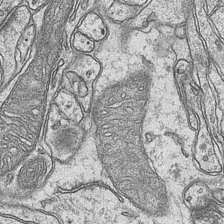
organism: Mouse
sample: CA1 Hippocampus